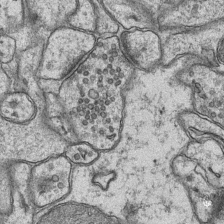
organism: Mouse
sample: CA1 Hippocampus